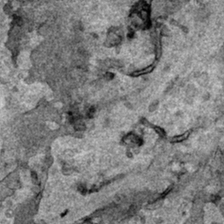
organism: Human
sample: Mitochondria in HCT116 cells